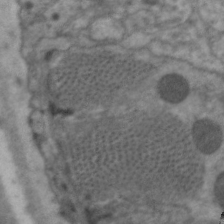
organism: C. elegans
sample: Pharynx